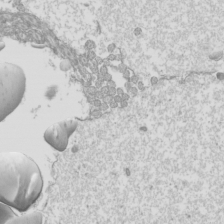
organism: Mouse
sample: Cilia; mouse epididymis